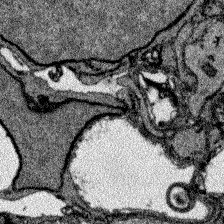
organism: Zebrafish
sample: Larval olfactory bulb